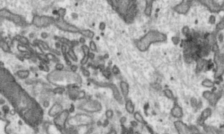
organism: Toxoplasma gondii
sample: Parasites in a vacuole inside a host cell